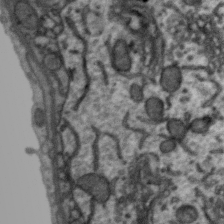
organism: Zebra finch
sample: Brain